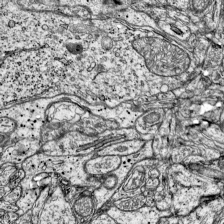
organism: Mouse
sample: Visual Cortex